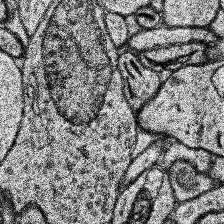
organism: Human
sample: Temporal Lobe